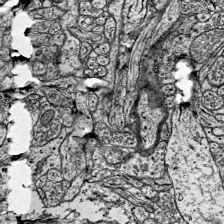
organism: Mouse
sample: Visual Cortex